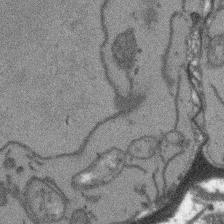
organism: Arabidopsis thaliana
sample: Root tip